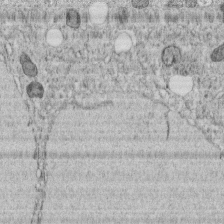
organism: C. elegans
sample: C. elegans embryo early stage